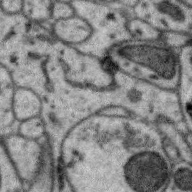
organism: Zebra finch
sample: Brain